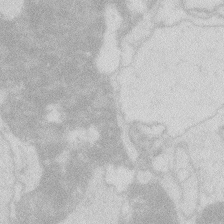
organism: Zebrafish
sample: Macrophage